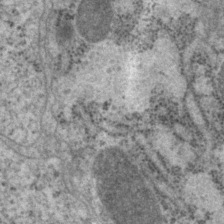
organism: P. pacificus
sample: Pharynx